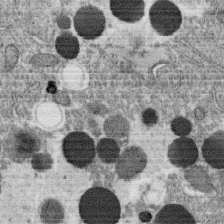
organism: C. elegans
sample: C. elegans oocyte; sperm cells